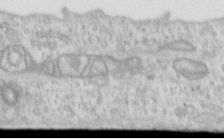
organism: Human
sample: Centriole in RPE cells